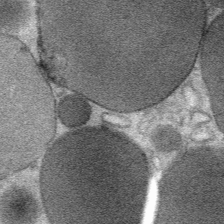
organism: Mouse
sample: Mouse Salivary gland